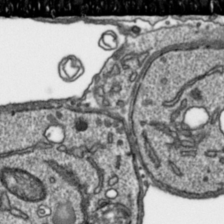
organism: Toxoplasma gondii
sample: Parasites in a vacuole inside a host cell